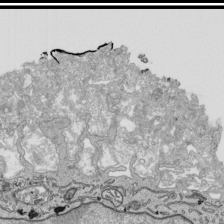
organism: Human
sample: Mitochondria in HCT116 cells